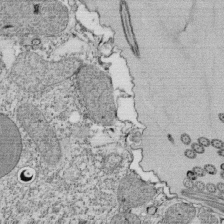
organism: Tetrahymena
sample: Cilia in tetrahymena